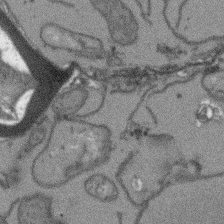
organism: Arabidopsis thaliana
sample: Root tip